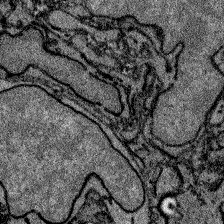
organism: Zebrafish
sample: Larval olfactory bulb